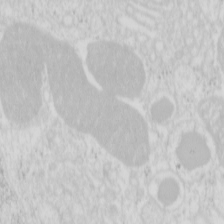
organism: Mouse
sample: Pancreas